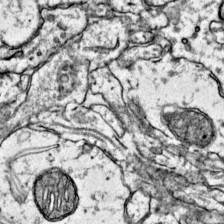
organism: Mouse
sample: Primary visual cortex